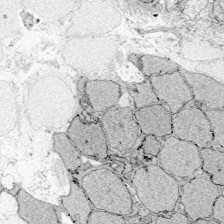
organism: Zebrafish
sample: Whole-Brain